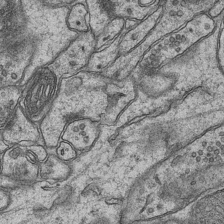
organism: Mouse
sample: CA1 Hippocampus